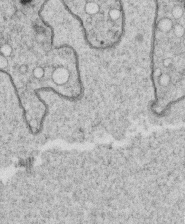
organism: C. elegans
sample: C. elegans oocyte; sperm cells